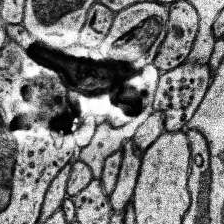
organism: Human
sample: Temporal Lobe